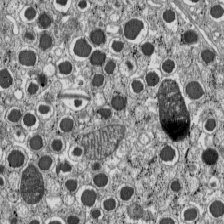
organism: C57BL Mouse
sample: Pancreatic islet